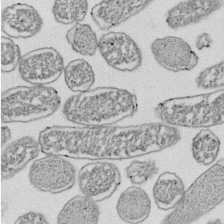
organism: E. coli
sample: Bacterial nucleoid